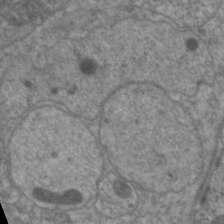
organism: C. elegans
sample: Pharynx